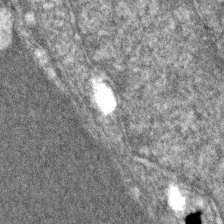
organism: Zebrafish